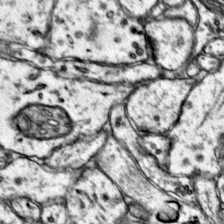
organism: Mouse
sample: Primary visual cortex